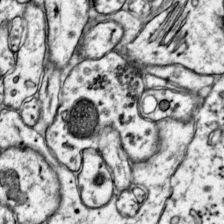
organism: Mouse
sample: Primary visual cortex